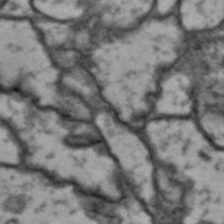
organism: Drosophila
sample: Brain